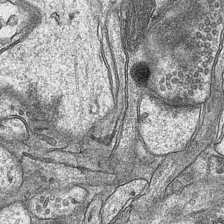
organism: Mouse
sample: CA1 Hippocampus